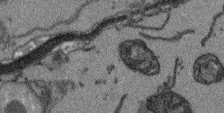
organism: Arabidopsis thaliana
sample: Root tip